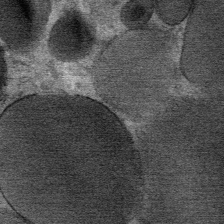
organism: Mouse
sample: Mouse Salivary gland